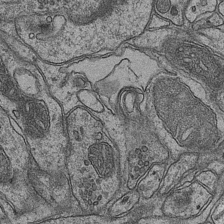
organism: Mouse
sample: CA1 Hippocampus